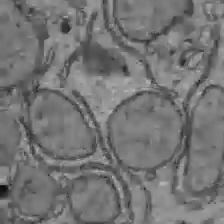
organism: C57BL Mouse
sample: Liver